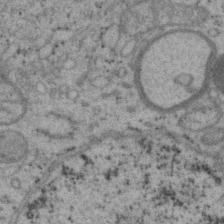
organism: Human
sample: HeLa cells